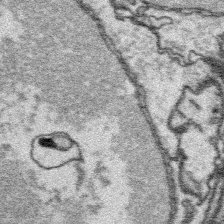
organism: Platynereis dumerilii